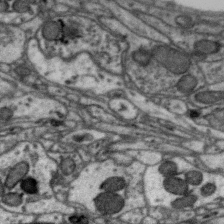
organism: Zebra finch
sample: Brain